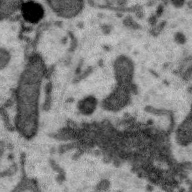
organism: Zebra finch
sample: Brain